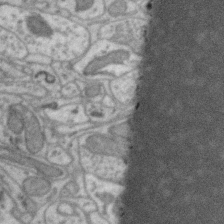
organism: Zebra finch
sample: Brain